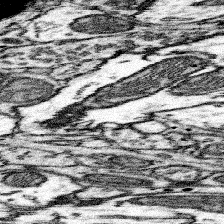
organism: Mouse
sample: Somatosensory cortex neuropil